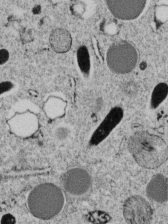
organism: C. elegans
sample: C. elegans embryo early stage